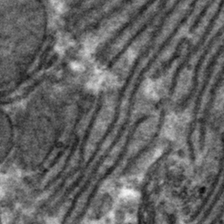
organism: Mouse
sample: Mouse hepatocytes